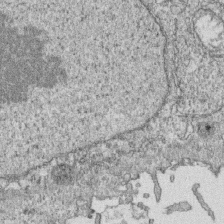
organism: Human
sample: HeLa cell HIV synapse